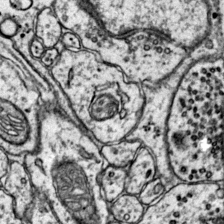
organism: Mouse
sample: Primary visual cortex